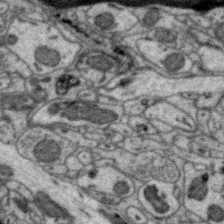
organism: Zebra finch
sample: Brain